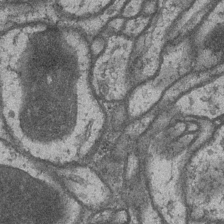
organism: Drosophila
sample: Optic medulla